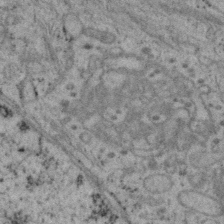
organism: Human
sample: HeLa cells